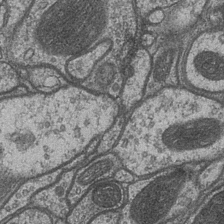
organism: Drosophila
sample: Optic medulla